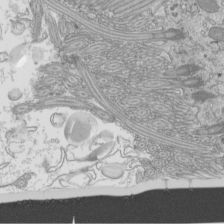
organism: Mouse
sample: Cilia; mouse epididymis